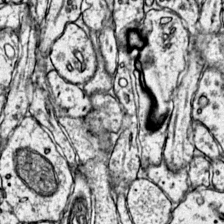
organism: Mouse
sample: Primary visual cortex